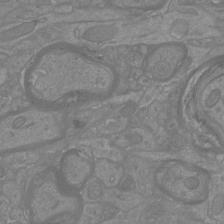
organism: Mouse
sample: Cortical neurons